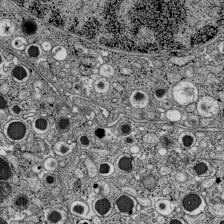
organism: C57BL Mouse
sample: Pancreatic islet